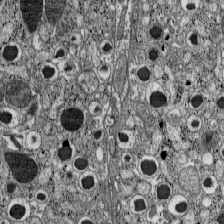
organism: C57BL Mouse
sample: Pancreatic islet